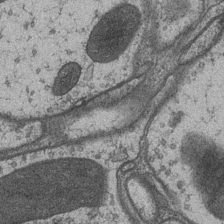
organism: Drosophila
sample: Optic medulla